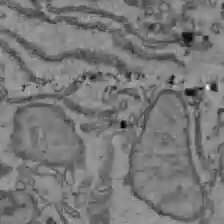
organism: C57BL Mouse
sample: Liver